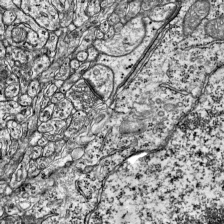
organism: Mouse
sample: Visual Cortex